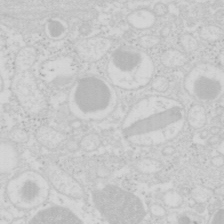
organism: Mouse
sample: Pancreas